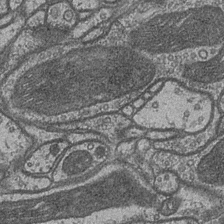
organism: Drosophila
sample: Optic medulla